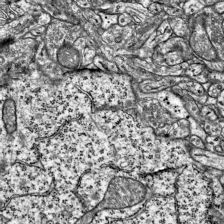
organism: Mouse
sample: Visual Cortex